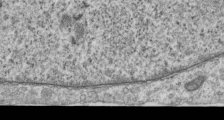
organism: Human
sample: Centriole in RPE cells